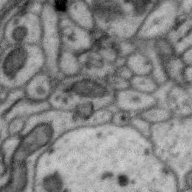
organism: Zebra finch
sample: Brain